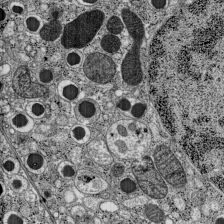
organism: C57BL Mouse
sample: Pancreatic islet